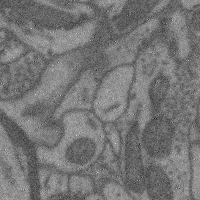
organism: Mouse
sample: Cerebral cortex